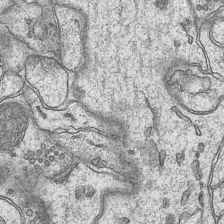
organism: Mouse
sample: CA1 Hippocampus